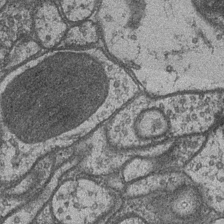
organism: Drosophila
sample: Optic medulla